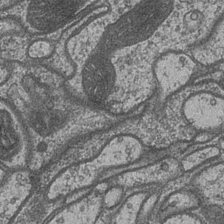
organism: Drosophila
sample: Optic medulla